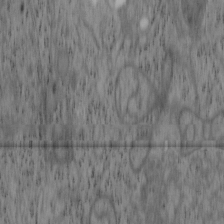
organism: Human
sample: HeLa cells